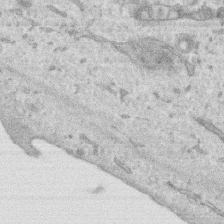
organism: Human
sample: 1205lu cells